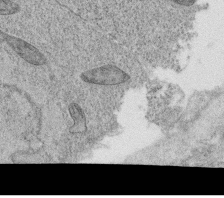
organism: C. elegans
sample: C. elegans oocyte; sperm cells